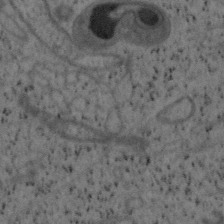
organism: Human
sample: HeLa cells